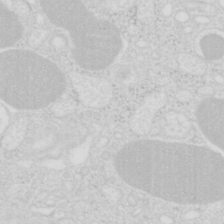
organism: Mouse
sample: Pancreas